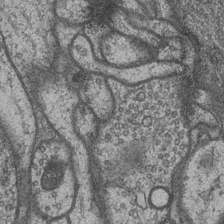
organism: Drosophila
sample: Optic medulla